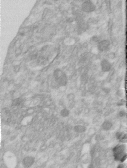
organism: Human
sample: Centriole in RPE cells